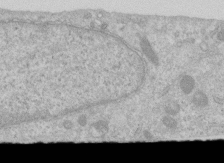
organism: Human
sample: Centriole in RPE cells